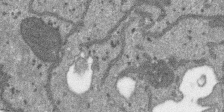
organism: Human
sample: Lung epithelial cells infected with SARS-CoV-2